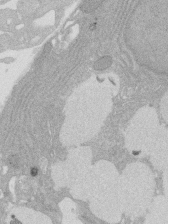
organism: Rat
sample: Salivary granule